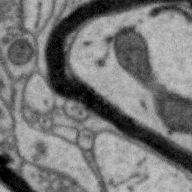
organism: Zebra finch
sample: Brain